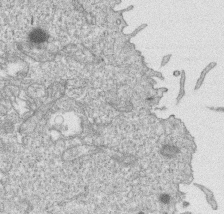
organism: Human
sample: HeLa cell HIV synapse